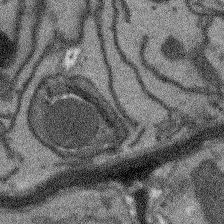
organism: Arabidopsis thaliana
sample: Root tip